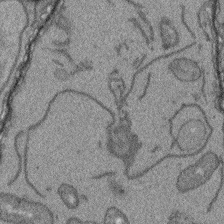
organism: Arabidopsis thaliana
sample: Root tip